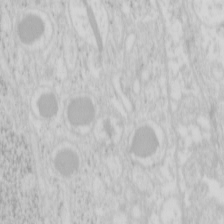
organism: Mouse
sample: Pancreas